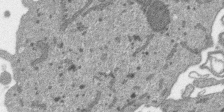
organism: Human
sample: Lung epithelial cells infected with SARS-CoV-2